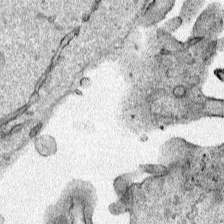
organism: Human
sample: Mitochondria in HCT116 cells